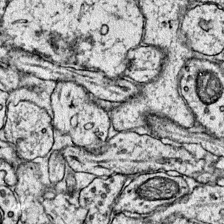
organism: Mouse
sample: Primary visual cortex